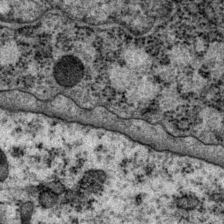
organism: P. pacificus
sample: Pharynx